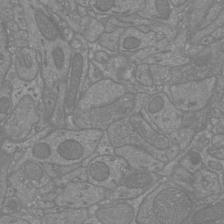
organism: Mouse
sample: Cortical neurons